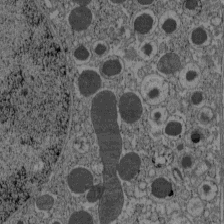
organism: C57BL Mouse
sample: Pancreatic islet